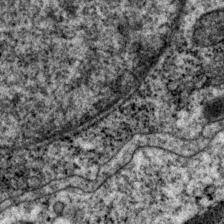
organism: P. pacificus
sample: Pharynx